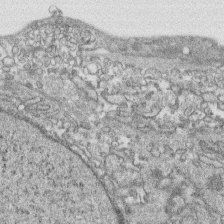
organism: Human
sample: CRL-1474